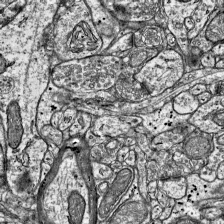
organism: Mouse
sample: Visual Cortex